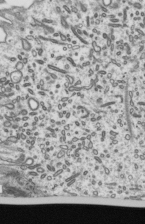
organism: Mouse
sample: Mouse epididymis efferent ductule cilia